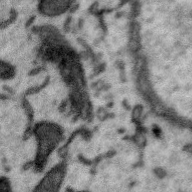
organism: Zebra finch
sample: Brain